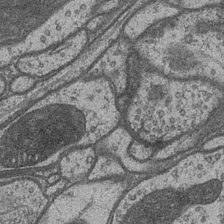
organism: Drosophila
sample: Optic medulla